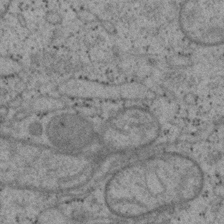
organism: Human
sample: HeLa cells